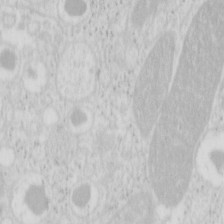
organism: Mouse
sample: Pancreas